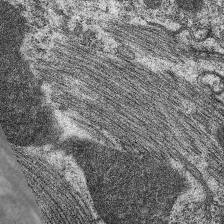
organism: C. elegans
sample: Pharynx